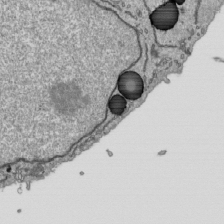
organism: Human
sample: Mitochondria in HCT116 cells